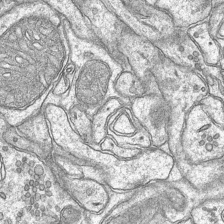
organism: Mouse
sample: CA1 Hippocampus